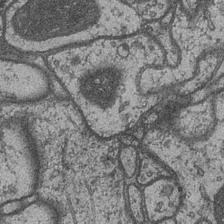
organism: Drosophila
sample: Optic medulla